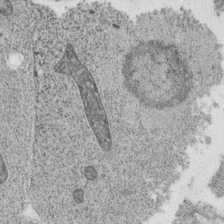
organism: C. elegans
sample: C. elegans oocyte; sperm cells